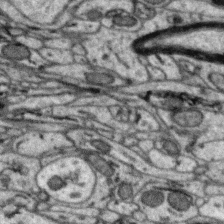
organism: Zebra finch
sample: Brain